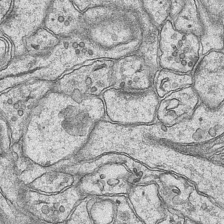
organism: Mouse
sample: CA1 Hippocampus